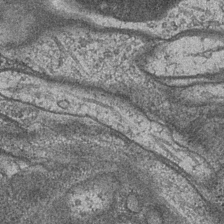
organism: Drosophila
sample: Optic medulla